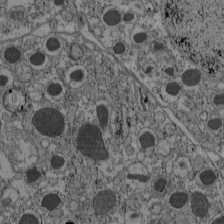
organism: C57BL Mouse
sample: Pancreatic islet